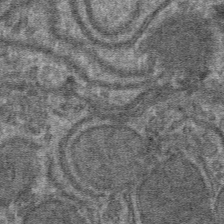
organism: Mouse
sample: Mouse hepatocytes